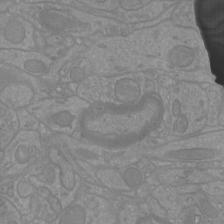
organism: Mouse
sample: Cortical neurons